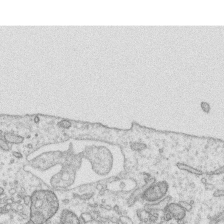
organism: Human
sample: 1205lu cells